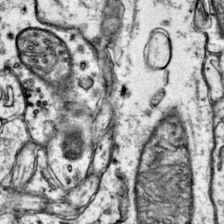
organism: Mouse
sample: Primary visual cortex